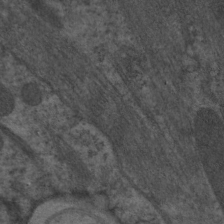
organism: C. elegans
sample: Pharynx